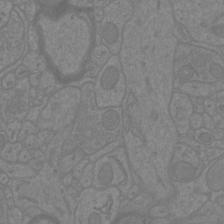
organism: Mouse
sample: Cortical neurons